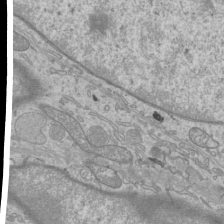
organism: Mouse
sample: Cilia; mouse epididymis